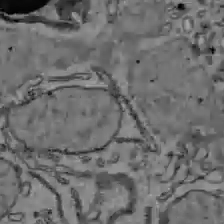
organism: C57BL Mouse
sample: Liver